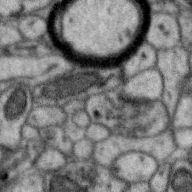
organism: Zebra finch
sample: Brain